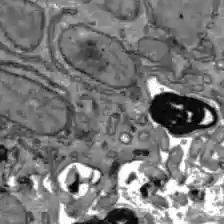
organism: C57BL Mouse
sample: Liver